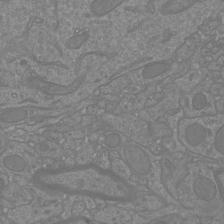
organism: Mouse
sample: Cortical neurons